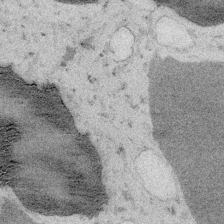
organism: Embia sp.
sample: Silk gland